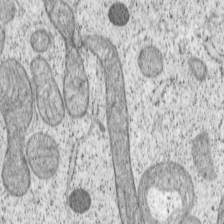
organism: African green monkey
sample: COS-7 cells